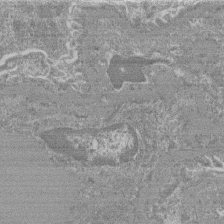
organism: Mouse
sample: Glomerulus